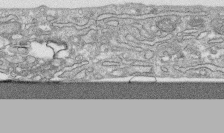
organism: Human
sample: CRL-1474